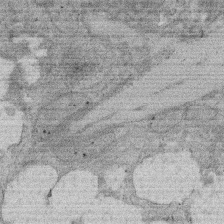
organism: Rat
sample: Salivary granule